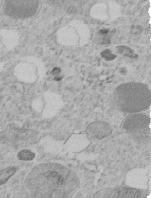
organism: C. elegans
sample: C. elegans embryo early stage